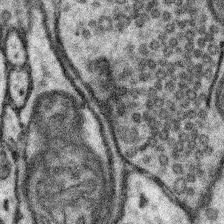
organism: Mouse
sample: Somatosensory cortex neuropil